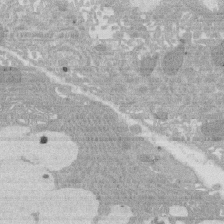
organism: Rat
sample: Salivary granule